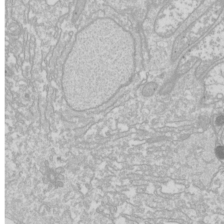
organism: Drosophila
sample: Cell division; meiosis; drosophila spermatocytes